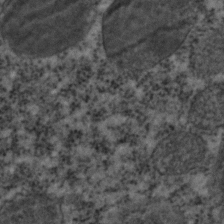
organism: C. elegans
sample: C. elegans embryo